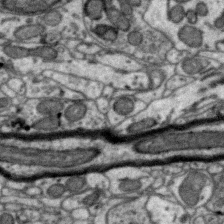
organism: Zebra finch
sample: Brain